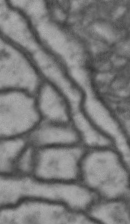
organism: Drosophila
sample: Brain